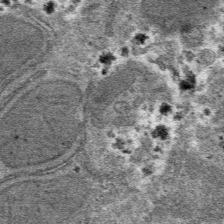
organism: Mouse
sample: Mouse hepatocytes